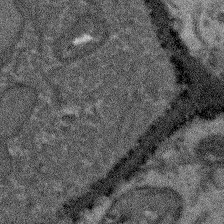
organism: Arabidopsis thaliana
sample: Root tip